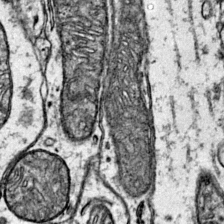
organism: Mouse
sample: Primary visual cortex